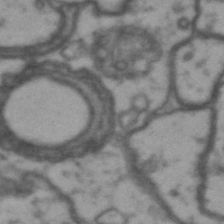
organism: Drosophila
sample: Brain